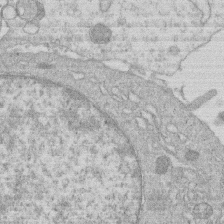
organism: Human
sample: Macrophage cells